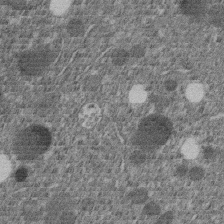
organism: C. elegans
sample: C. elegans embryo early stage